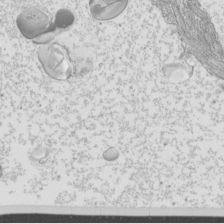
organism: Mouse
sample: Cilia; mouse epididymis